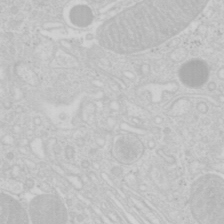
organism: Mouse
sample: Pancreas